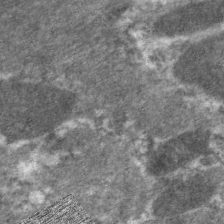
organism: C. elegans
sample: Pharynx